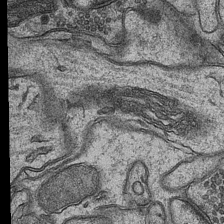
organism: Mouse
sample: CA1 Hippocampus